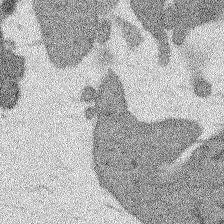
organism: Human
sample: HeLa cells